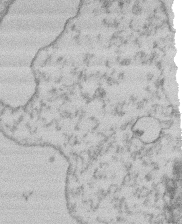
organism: Mouse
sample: T cell stromal cell synapse